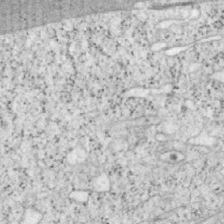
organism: Mouse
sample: OT-I killer T cells with ID8 ovarian cancer cells